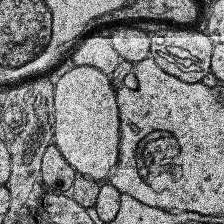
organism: Human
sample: Temporal Lobe